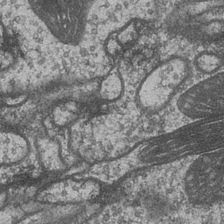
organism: Drosophila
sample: Optic medulla